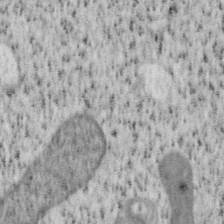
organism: Mouse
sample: OT-I killer T cells with ID8 ovarian cancer cells